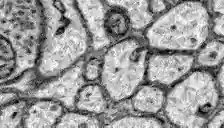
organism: Zebrafish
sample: Brain